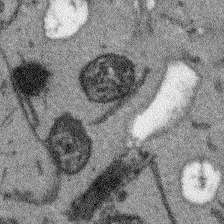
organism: Arabidopsis thaliana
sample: Root tip